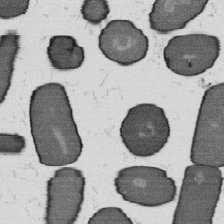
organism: B. subtilis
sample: Bacterial spore